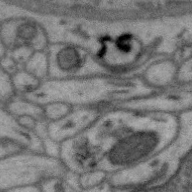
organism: Zebra finch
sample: Brain